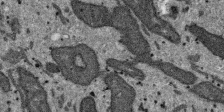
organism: Human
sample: Lung epithelial cells, uninfected (mock) control